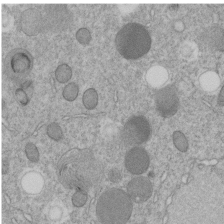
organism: C. elegans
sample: C. elegans embryo early stage